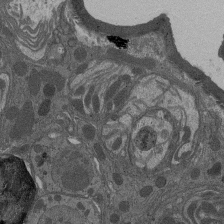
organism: Drosophila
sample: Antenna